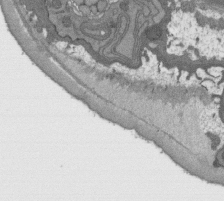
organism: C. elegans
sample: AFD neurons C. elegans